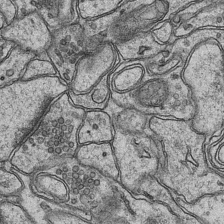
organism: Mouse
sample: CA1 Hippocampus